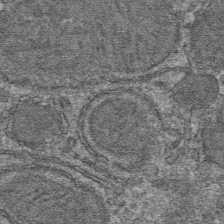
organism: Mouse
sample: Mouse hepatocytes